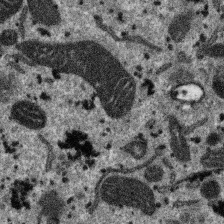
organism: Human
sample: Lung epithelial cells infected with SARS-CoV-2